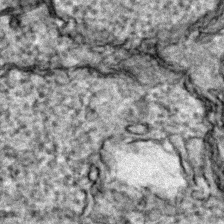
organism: Zebrafish